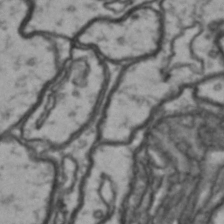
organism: Drosophila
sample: Brain